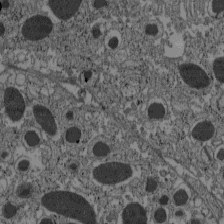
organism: C57BL Mouse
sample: Pancreatic islet